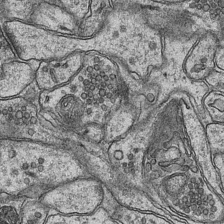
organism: Mouse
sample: CA1 Hippocampus